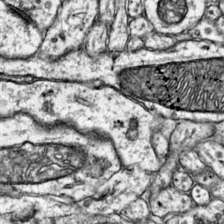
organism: Mouse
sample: Primary visual cortex